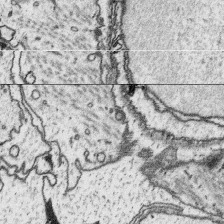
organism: Platynereis dumerilii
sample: Parapodia